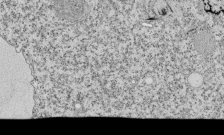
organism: Tetrahymena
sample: Cilia in tetrahymena